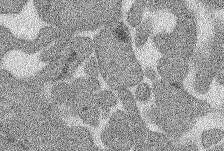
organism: Human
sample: HeLa cells